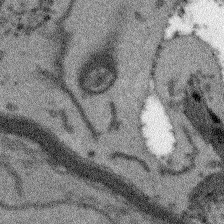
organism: Arabidopsis thaliana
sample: Root tip